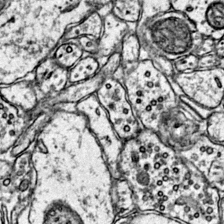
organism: Mouse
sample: Primary visual cortex